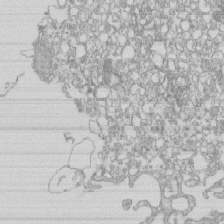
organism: Mouse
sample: Macrophages